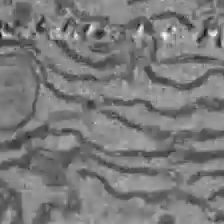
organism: C57BL Mouse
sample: Liver